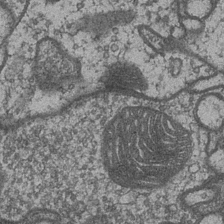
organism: Drosophila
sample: Optic medulla